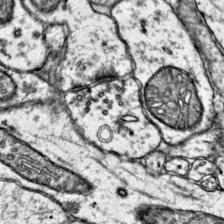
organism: Mouse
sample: Primary visual cortex